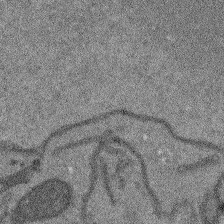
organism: Arabidopsis thaliana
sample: Root tip